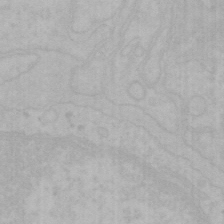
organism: Mouse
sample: Choroid plexus